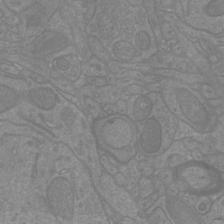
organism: Mouse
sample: Cortical neurons